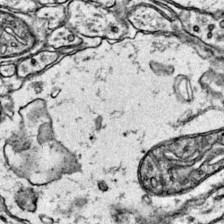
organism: Mouse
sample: Primary visual cortex